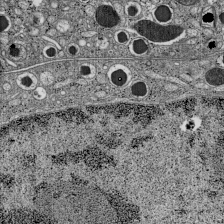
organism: C57BL Mouse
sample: Pancreatic islet